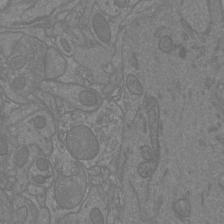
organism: Mouse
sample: Cortical neurons